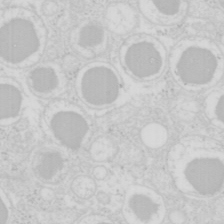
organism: Mouse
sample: Pancreas